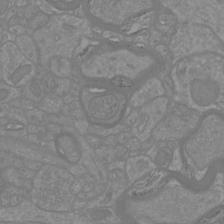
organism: Mouse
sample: Cortical neurons